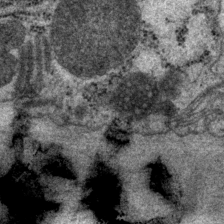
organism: P. pacificus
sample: Pharynx